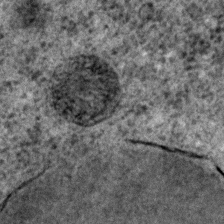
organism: C. elegans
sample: C. elegans embryo